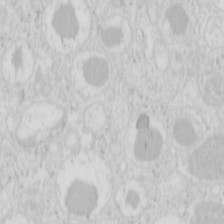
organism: Mouse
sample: Pancreas